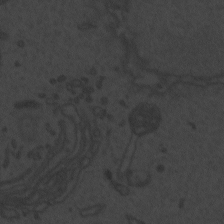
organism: Zebrafish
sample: Macrophage infected with Toxoplasma gondii